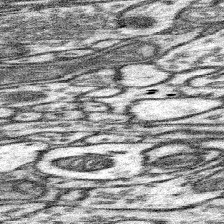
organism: Mouse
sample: Somatosensory cortex neuropil